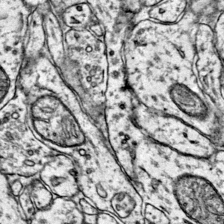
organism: Mouse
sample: Primary visual cortex